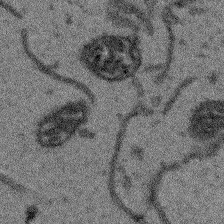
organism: Arabidopsis thaliana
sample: Root tip